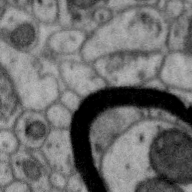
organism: Zebra finch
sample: Brain